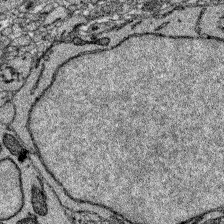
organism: Zebrafish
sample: Larval olfactory bulb